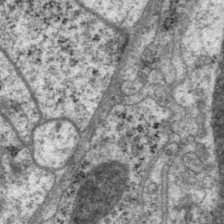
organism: P. pacificus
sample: Pharynx